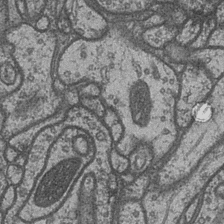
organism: Drosophila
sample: Optic medulla